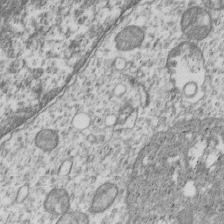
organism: Human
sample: MDA-MB-231 cells